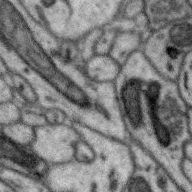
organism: Zebra finch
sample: Brain